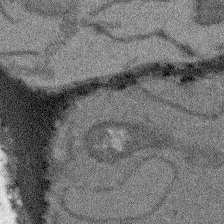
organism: Arabidopsis thaliana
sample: Root tip